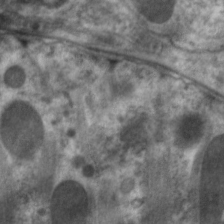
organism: C. elegans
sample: Pharynx